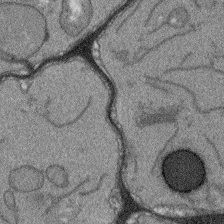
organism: Arabidopsis thaliana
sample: Root tip